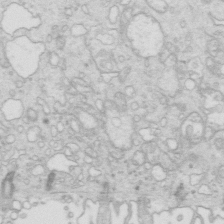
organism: Mouse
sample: Multiciliated cells